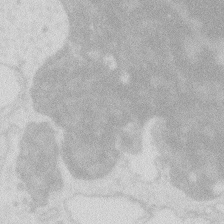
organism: Zebrafish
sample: Macrophage